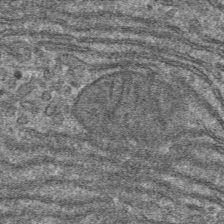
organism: Mouse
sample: Mouse hepatocytes